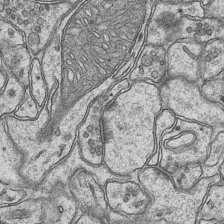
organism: Mouse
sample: CA1 Hippocampus